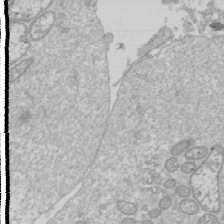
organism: Drosophila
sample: Cell division; meiosis; drosophila spermatocytes